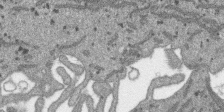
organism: Human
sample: Lung epithelial cells infected with SARS-CoV-2